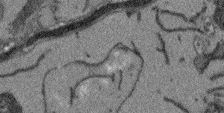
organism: Arabidopsis thaliana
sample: Root tip